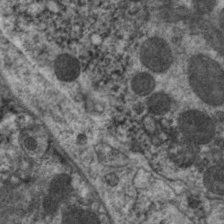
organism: C. elegans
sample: Pharynx